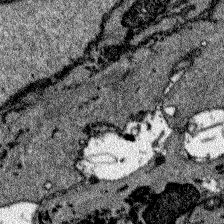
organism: Zebrafish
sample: Larval olfactory bulb